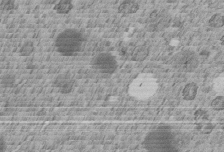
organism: C. elegans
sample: C. elegans embryo early stage